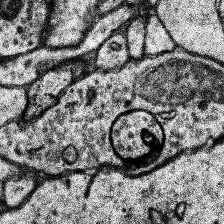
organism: Human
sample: Temporal Lobe